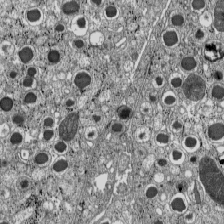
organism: C57BL Mouse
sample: Pancreatic islet